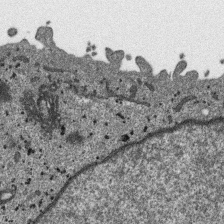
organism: Human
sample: Lung epithelial cells infected with SARS-CoV-2